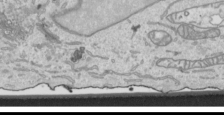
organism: Human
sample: Mitochondria in HCT116 cells